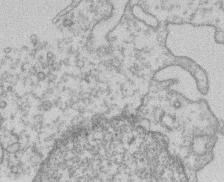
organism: Mouse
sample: T cell stromal cell synapse